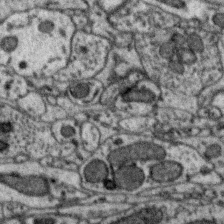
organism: Zebra finch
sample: Brain